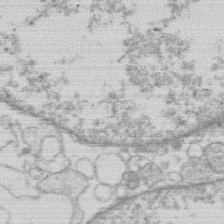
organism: Human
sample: Macrophage cells